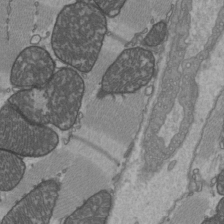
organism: C57BL Mouse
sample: Heart